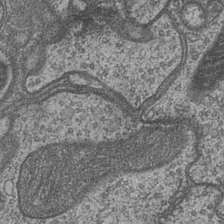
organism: Drosophila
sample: Optic medulla